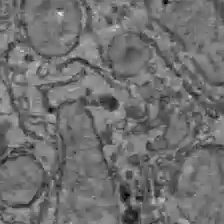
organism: C57BL Mouse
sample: Liver